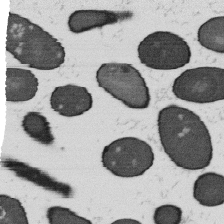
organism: B. subtilis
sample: Bacterial spore